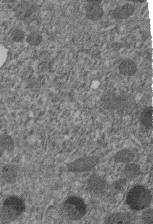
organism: C. elegans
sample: C. elegans embryo early stage